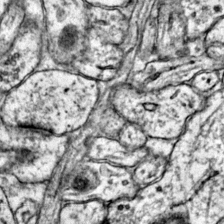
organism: Mouse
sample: Primary visual cortex